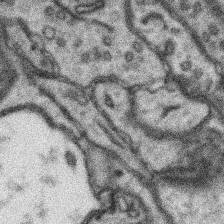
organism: Mouse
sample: Somatosensory cortex neuropil